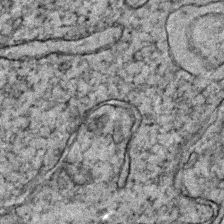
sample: Trachea